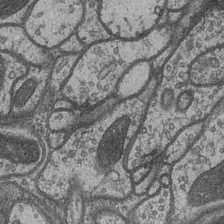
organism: Drosophila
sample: Optic medulla